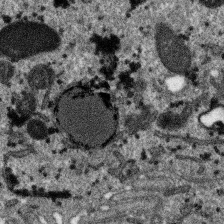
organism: Human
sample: Lung epithelial cells infected with SARS-CoV-2